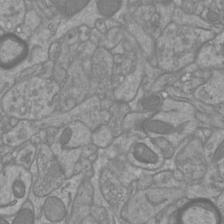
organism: Mouse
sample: Cortical neurons